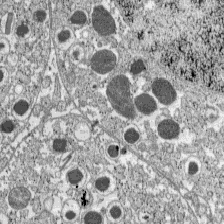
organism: C57BL Mouse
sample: Pancreatic islet